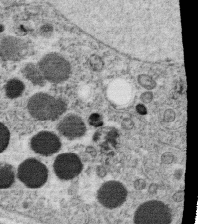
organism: C. elegans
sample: C. elegans oocyte; sperm cells